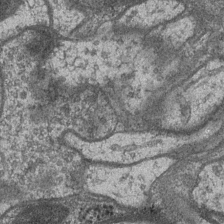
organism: Drosophila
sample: Optic medulla